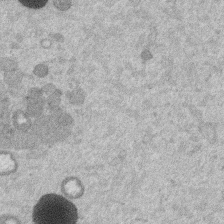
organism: Mouse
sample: Dividing mouse embryo 1 cell stage